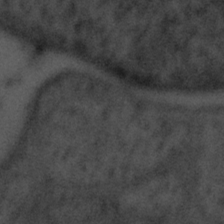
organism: Tuwongella immobilis